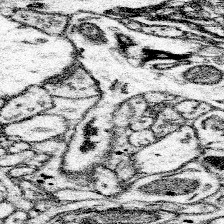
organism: Mouse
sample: Somatosensory cortex neuropil